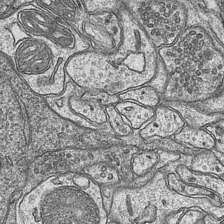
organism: Mouse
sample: CA1 Hippocampus